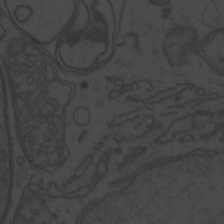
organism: Zebrafish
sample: Macrophage infected with Toxoplasma gondii